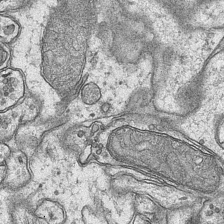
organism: Mouse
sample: CA1 Hippocampus